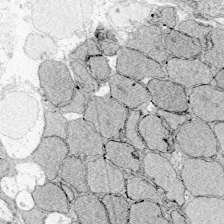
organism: Zebrafish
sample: Whole-Brain